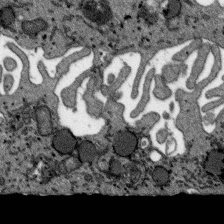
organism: Human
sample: Lung epithelial cells, uninfected (mock) control